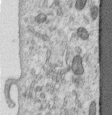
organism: Human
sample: Centriole in RPE cells